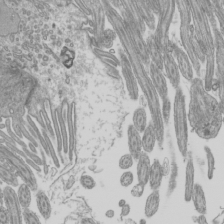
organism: Mouse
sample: Cilia; mouse epididymis